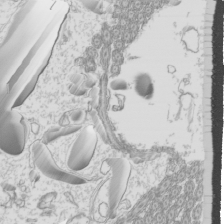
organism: Mouse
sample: Cilia; mouse epididymis